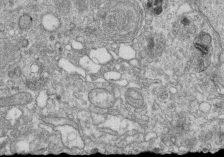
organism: Human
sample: HeLa cell HIV synapse